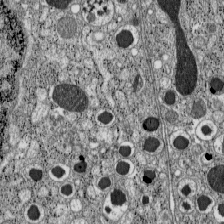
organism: C57BL Mouse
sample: Pancreatic islet